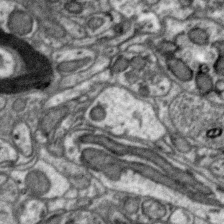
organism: Zebra finch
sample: Brain